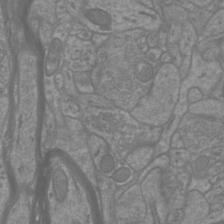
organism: Mouse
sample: Cortical neurons